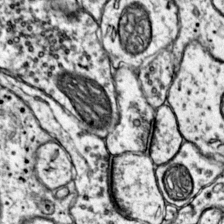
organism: Mouse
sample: Primary visual cortex